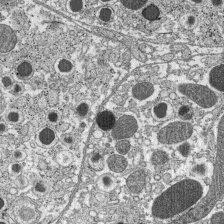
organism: C57BL Mouse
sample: Pancreatic islet